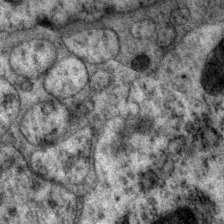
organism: P. pacificus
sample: Pharynx